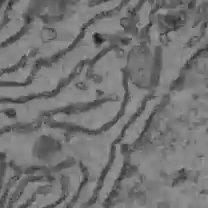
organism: C57BL Mouse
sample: Liver